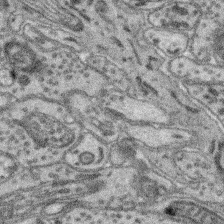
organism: Mouse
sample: Retina